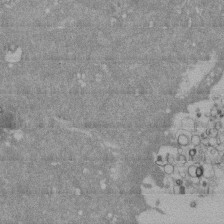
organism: Mouse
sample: ED-1 cell nuclei; centrioles